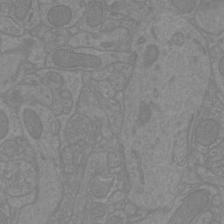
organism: Mouse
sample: Cortical neurons